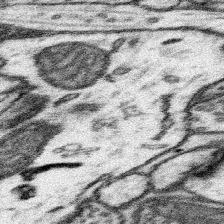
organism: Mouse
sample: Somatosensory cortex neuropil